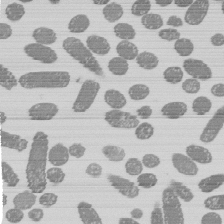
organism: E. coli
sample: Bacterial nucleoid